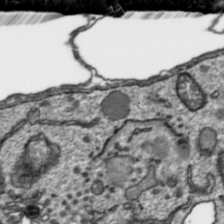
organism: Toxoplasma gondii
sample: Parasites in a vacuole inside a host cell